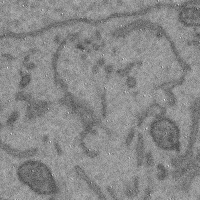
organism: Mouse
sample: Cerebral cortex